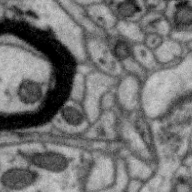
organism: Zebra finch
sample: Brain